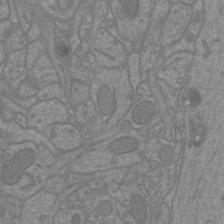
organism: Mouse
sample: Cortical neurons